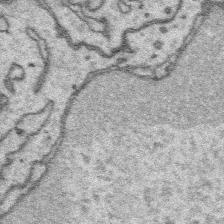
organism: Platynereis dumerilii